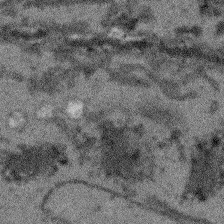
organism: Arabidopsis thaliana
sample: Root tip